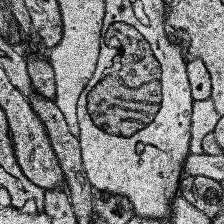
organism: Human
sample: Temporal Lobe